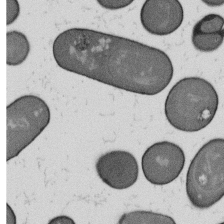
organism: B. subtilis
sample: Bacterial spore